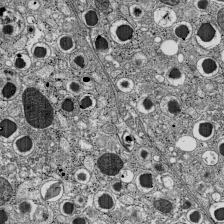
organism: C57BL Mouse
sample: Pancreatic islet